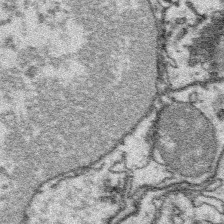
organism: Platynereis dumerilii